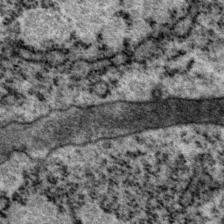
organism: P. pacificus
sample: Pharynx